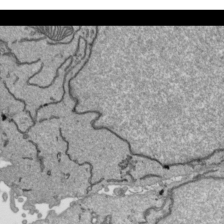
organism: Human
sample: Mitochondria in HCT116 cells